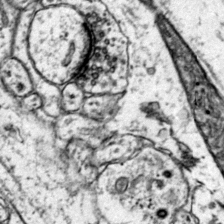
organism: Mouse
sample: Primary visual cortex